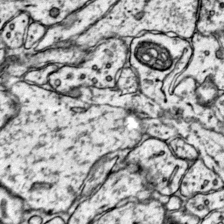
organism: Mouse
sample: Primary visual cortex